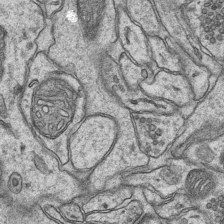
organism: Mouse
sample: CA1 Hippocampus